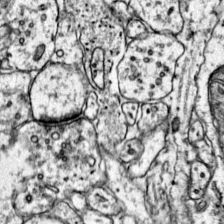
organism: Mouse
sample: Primary visual cortex